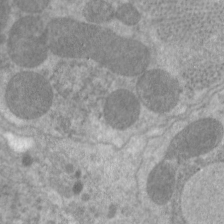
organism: C. elegans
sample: Pharynx